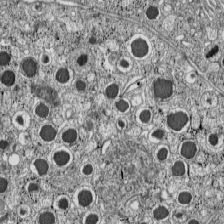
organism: C57BL Mouse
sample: Pancreatic islet